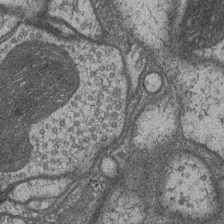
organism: Drosophila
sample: Optic medulla